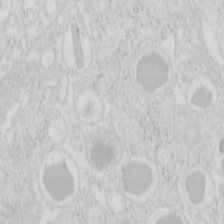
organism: Mouse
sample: Pancreas